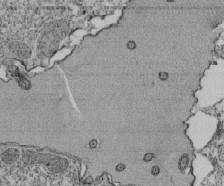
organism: Tetrahymena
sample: Cilia in tetrahymena